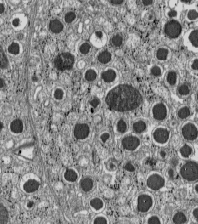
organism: C57BL Mouse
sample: Pancreatic islet